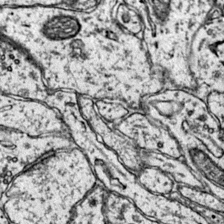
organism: Mouse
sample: Primary visual cortex